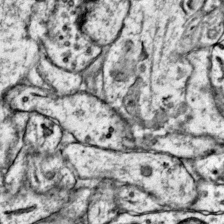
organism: Mouse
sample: Primary visual cortex